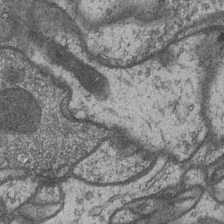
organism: Drosophila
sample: Optic medulla